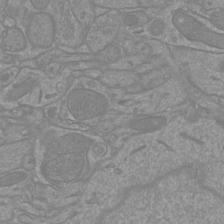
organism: Mouse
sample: Cortical neurons